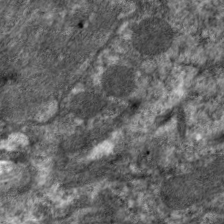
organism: C. elegans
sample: Pharynx